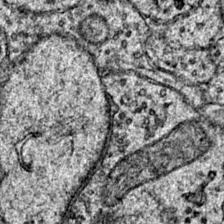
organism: Mouse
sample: Primary visual cortex